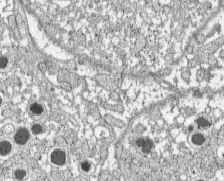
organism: C57BL Mouse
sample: Pancreatic islet